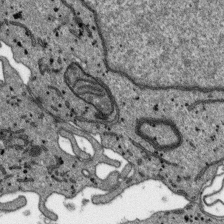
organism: Human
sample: Lung epithelial cells, uninfected (mock) control